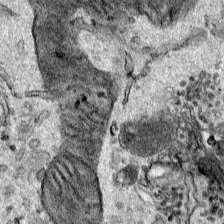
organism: Human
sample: Mitochondria in HCT116 cells